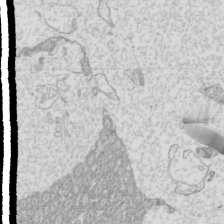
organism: Mouse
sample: Cilia; mouse epididymis